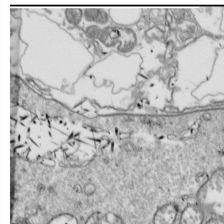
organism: Drosophila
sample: Cell division; meiosis; drosophila spermatocytes